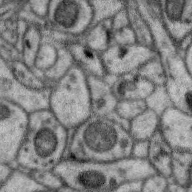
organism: Zebra finch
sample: Brain